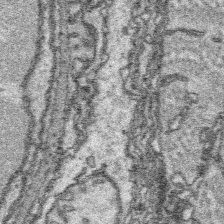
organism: Platynereis dumerilii